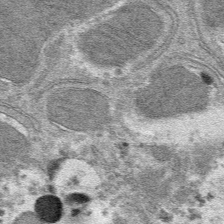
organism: Mouse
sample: Mouse hepatocytes